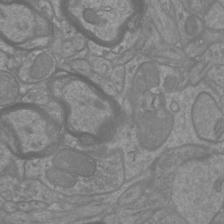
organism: Mouse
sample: Cortical neurons